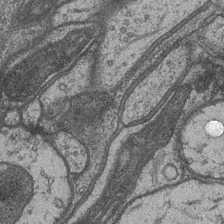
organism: Drosophila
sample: Optic medulla